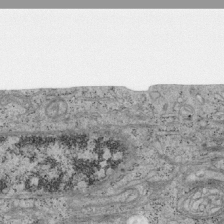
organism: Human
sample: HeLa cells